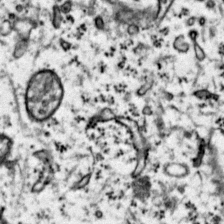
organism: Mouse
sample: Primary visual cortex